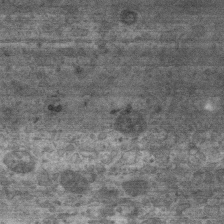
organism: Mouse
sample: Centriole in ependymal cells